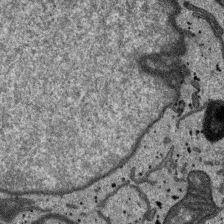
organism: Human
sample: Lung epithelial cells, uninfected (mock) control